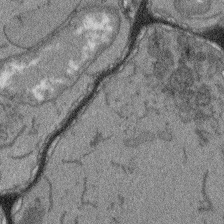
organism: Arabidopsis thaliana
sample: Root tip